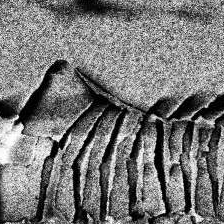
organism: Human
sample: Temporal Lobe